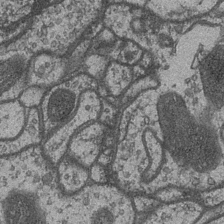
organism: Drosophila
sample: Optic medulla